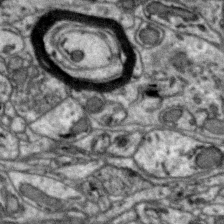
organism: Zebra finch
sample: Brain